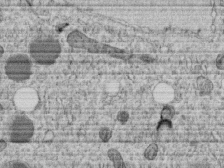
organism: C. elegans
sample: C. elegans embryo early stage